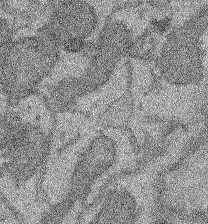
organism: Human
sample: HeLa cells